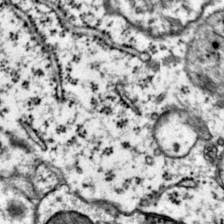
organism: Mouse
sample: Primary visual cortex